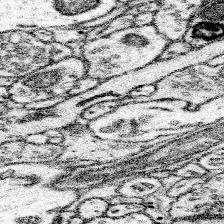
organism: Mouse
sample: Somatosensory cortex neuropil